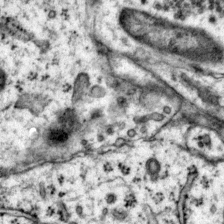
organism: Mouse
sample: Primary visual cortex